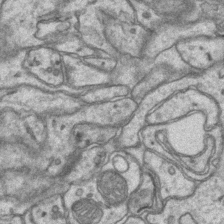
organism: Mouse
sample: CA1 Hippocampus